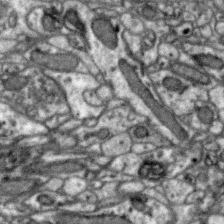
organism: Zebra finch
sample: Brain